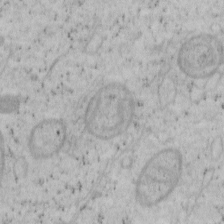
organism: Human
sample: HeLa cells